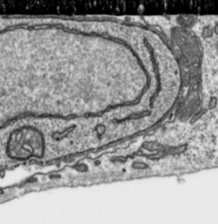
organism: Toxoplasma gondii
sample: Parasites in a vacuole inside a host cell